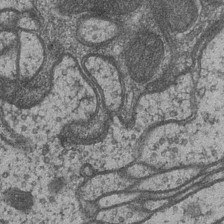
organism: Drosophila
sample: Optic medulla